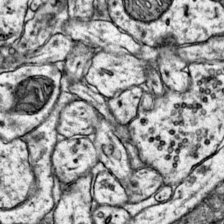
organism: Mouse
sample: Primary visual cortex